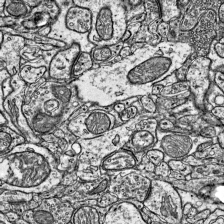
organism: Mouse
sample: Visual Cortex